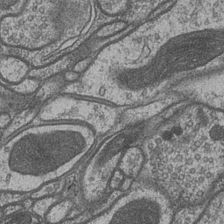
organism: Drosophila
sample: Optic medulla